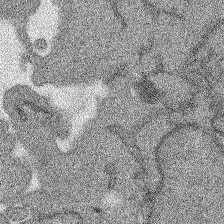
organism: Human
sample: HeLa cells